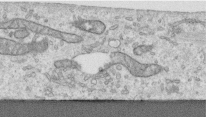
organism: Human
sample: Centriole in RPE cells